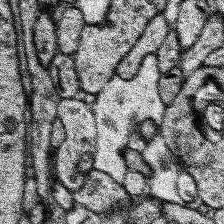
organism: Human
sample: Temporal Lobe